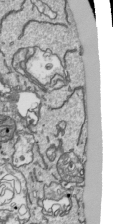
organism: Human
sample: Mitochondria in HCT116 cells